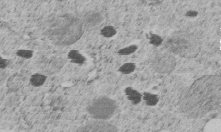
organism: C. elegans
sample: C. elegans embryo early stage